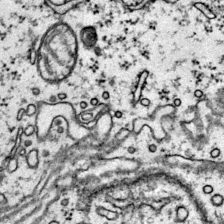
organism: Mouse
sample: Primary visual cortex